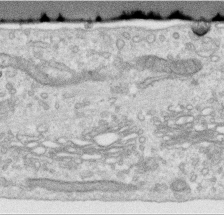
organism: Human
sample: Centriole in RPE cells